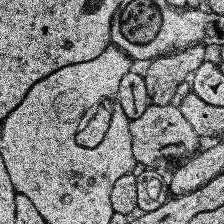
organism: Human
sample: Temporal Lobe